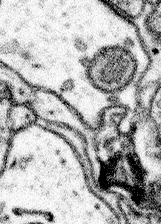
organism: Mouse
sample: Somatosensory cortex neuropil